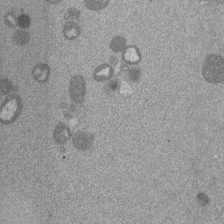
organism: Mouse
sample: Dividing mouse embryo 1 cell stage